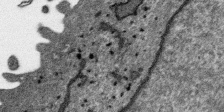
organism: Human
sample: Lung epithelial cells, uninfected (mock) control